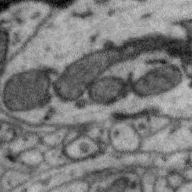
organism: Zebra finch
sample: Brain